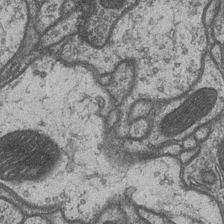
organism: Drosophila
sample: Optic medulla